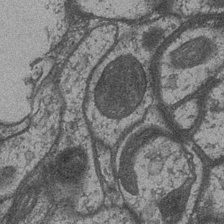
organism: Drosophila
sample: Optic medulla